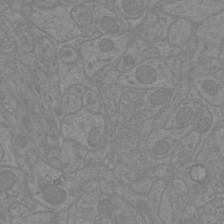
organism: Mouse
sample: Cortical neurons